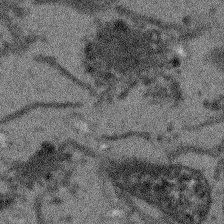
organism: Arabidopsis thaliana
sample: Root tip